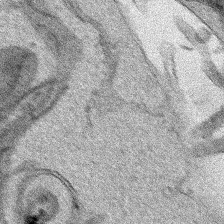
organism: Human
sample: Mitochondria in HCT116 cells